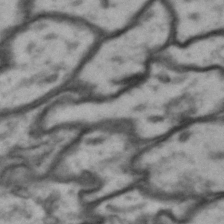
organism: Drosophila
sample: Brain